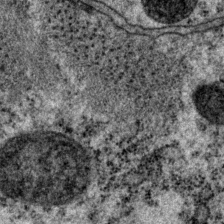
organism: P. pacificus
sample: Pharynx